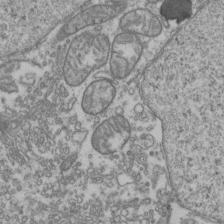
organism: Human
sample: Activated Jurkat CD4+ T cells